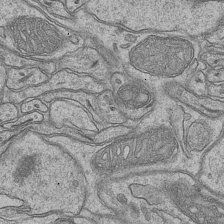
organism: Mouse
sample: CA1 Hippocampus